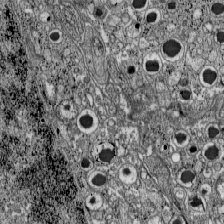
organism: C57BL Mouse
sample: Pancreatic islet